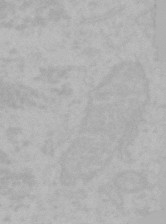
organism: Mouse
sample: Choroid plexus